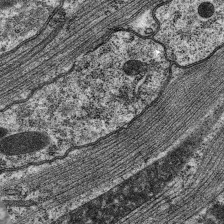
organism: C. elegans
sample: Pharynx